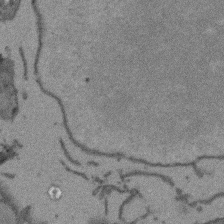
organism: Arabidopsis thaliana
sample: Root tip